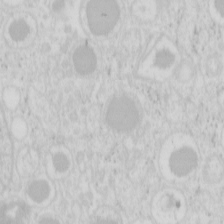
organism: Mouse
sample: Pancreas